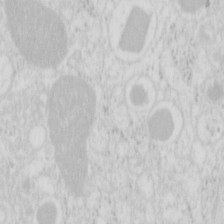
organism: Mouse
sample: Pancreas